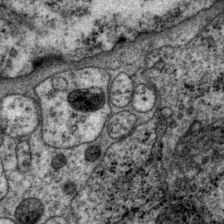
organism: P. pacificus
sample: Pharynx